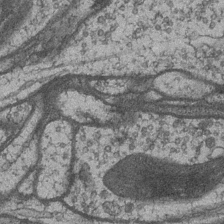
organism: Drosophila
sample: Optic medulla